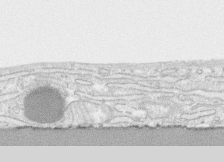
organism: Human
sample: CRL-1474